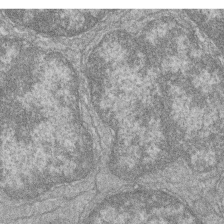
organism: Zebrafish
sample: Cilia; retinal pigment epithelium